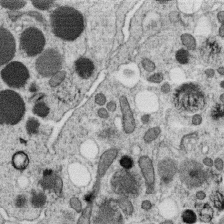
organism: C. elegans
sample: C. elegans oocyte; sperm cells